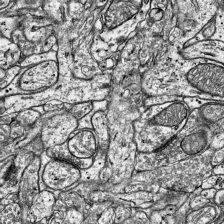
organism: Mouse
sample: Visual Cortex